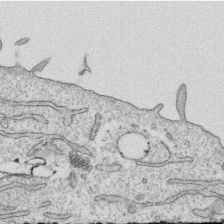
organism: Human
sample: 1205lu cells